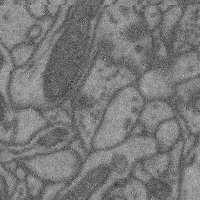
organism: Mouse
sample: Cerebral cortex